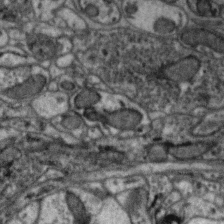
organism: Zebra finch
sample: Brain